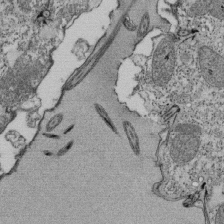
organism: Tetrahymena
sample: Cilia in tetrahymena